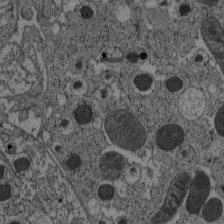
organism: C57BL Mouse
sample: Pancreatic islet